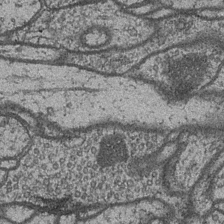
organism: Drosophila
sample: Optic medulla